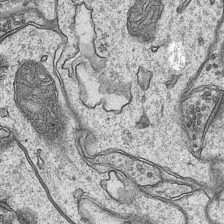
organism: Mouse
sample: CA1 Hippocampus